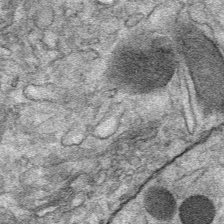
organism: Mouse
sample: Mouse Salivary gland